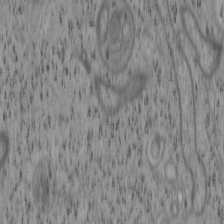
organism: Human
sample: HeLa cells